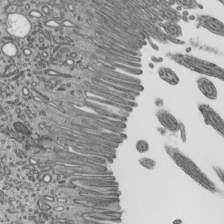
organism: Mouse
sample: Mouse epididymis efferent ductule cilia